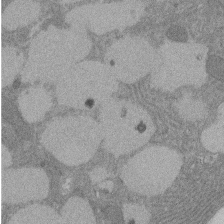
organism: Rat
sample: Salivary granule